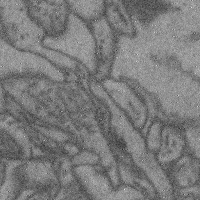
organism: Mouse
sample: Cerebral cortex